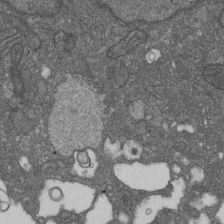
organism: Drosophila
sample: Nephrocyte